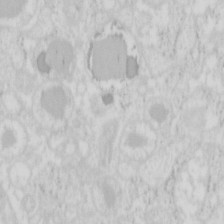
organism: Mouse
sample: Pancreas